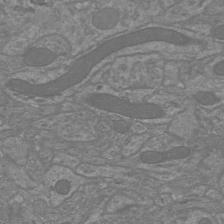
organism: Mouse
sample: Cortical neurons